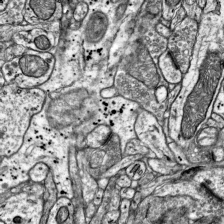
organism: Mouse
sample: Visual Cortex